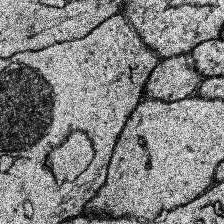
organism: Human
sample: Temporal Lobe